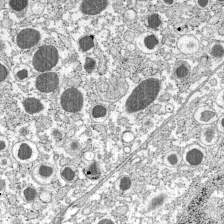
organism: C57BL Mouse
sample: Pancreatic islet